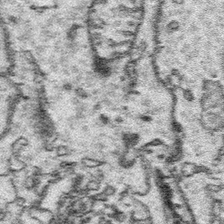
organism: Platynereis dumerilii